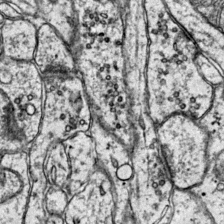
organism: Mouse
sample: Primary visual cortex